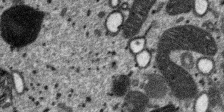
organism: Human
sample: Lung epithelial cells infected with SARS-CoV-2